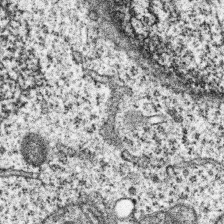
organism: Human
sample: HeLa cells